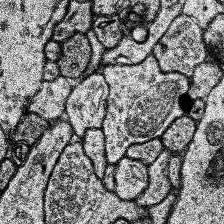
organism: Human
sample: Temporal Lobe